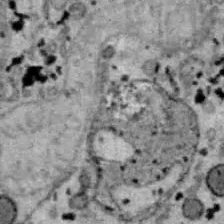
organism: Mouse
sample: Liver from an obese (ob/ob) mouse